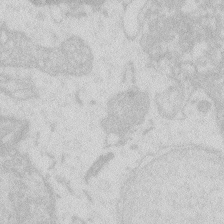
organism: Zebrafish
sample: Macrophage